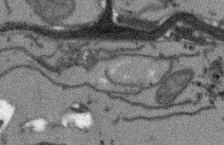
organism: Arabidopsis thaliana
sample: Root tip